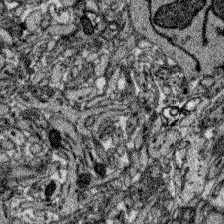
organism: Zebrafish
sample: Larval olfactory bulb